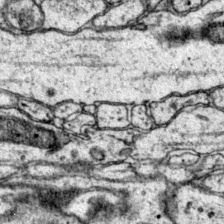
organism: Mouse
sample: Primary visual cortex